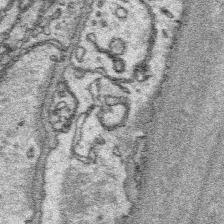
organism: Platynereis dumerilii